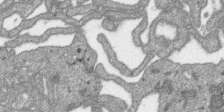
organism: Human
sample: Lung epithelial cells infected with SARS-CoV-2